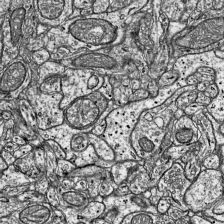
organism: Mouse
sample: Visual Cortex